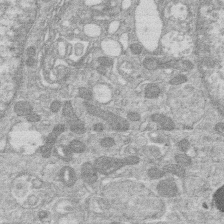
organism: Human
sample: Macrophage cells